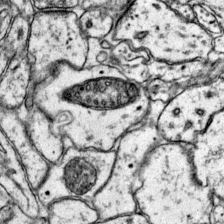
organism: Mouse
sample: Primary visual cortex